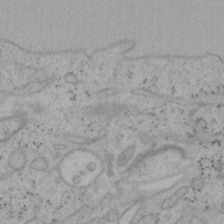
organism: Human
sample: HeLa cells